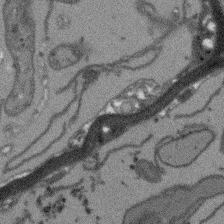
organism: Arabidopsis thaliana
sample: Root tip